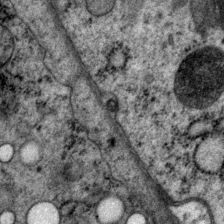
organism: P. pacificus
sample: Pharynx